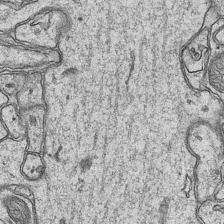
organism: Mouse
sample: CA1 Hippocampus